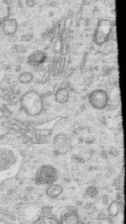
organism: Human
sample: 1205lu cells